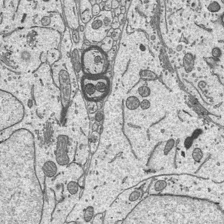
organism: Mouse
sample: Suprachiasmatic nucleus